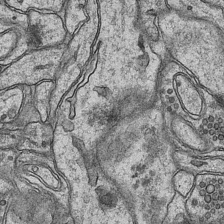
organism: Mouse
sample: CA1 Hippocampus